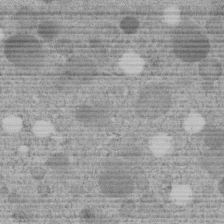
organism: C. elegans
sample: C. elegans embryo early stage